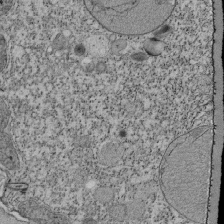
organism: Tetrahymena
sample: Cilia in tetrahymena